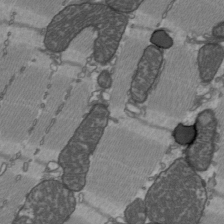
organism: C57BL Mouse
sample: Heart